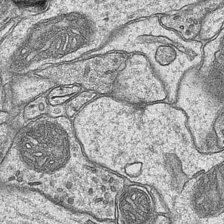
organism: Mouse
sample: CA1 Hippocampus